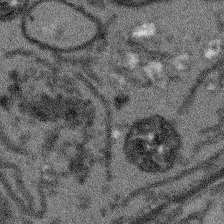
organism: Arabidopsis thaliana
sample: Root tip